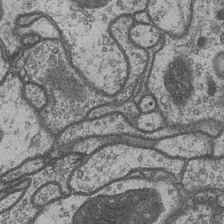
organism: Drosophila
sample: Optic medulla